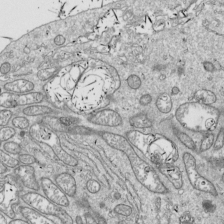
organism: Drosophila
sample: Cell division; meiosis; drosophila spermatocytes